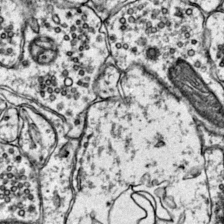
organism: Mouse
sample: Primary visual cortex